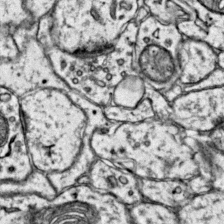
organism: Mouse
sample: Primary visual cortex